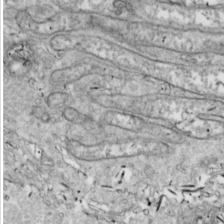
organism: Drosophila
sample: Cell division; meiosis; drosophila spermatocytes